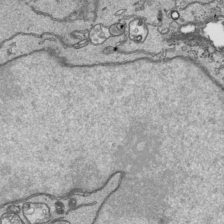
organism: Human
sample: Mitochondria in HCT116 cells